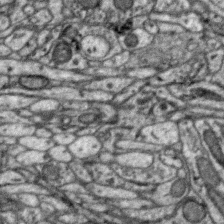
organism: Zebra finch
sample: Brain